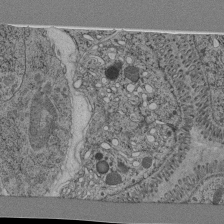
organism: C. elegans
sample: C. elegans pharynx